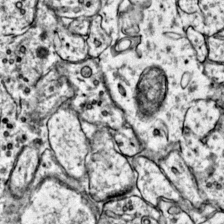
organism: Mouse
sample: Primary visual cortex